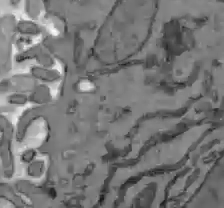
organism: C57BL Mouse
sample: Liver